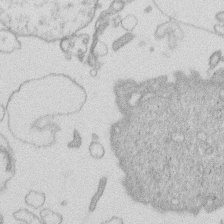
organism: Human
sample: Macrophage cells